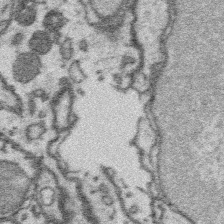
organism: Platynereis dumerilii